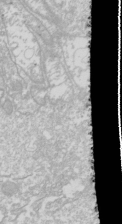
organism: Drosophila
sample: Cell division; meiosis; drosophila spermatocytes